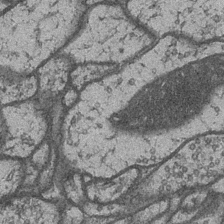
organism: Drosophila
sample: Optic medulla